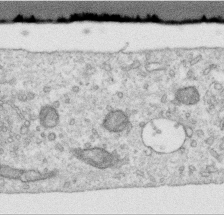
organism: Human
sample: Centriole in RPE cells